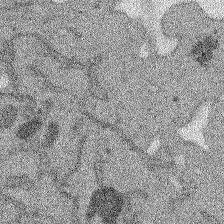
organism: Human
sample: HeLa cells